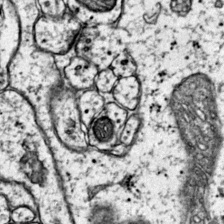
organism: Mouse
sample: Primary visual cortex